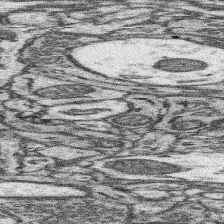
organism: Mouse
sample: Somatosensory cortex neuropil